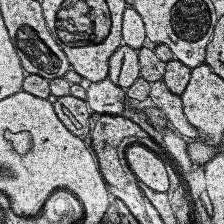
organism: Human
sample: Temporal Lobe